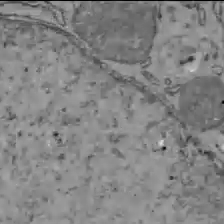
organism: C57BL Mouse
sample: Liver